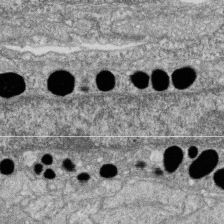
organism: Zebrafish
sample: Cilia; retinal pigment epithelium